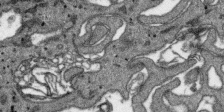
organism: Human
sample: Lung epithelial cells, uninfected (mock) control